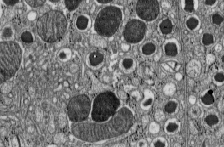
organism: C57BL Mouse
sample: Pancreatic islet